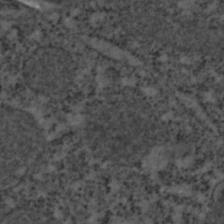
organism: C. elegans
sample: C. elegans embryo